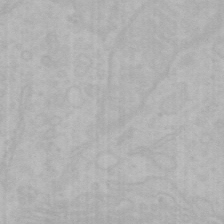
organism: Mouse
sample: Choroid plexus